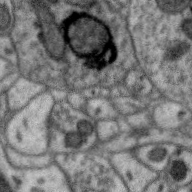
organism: Zebra finch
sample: Brain